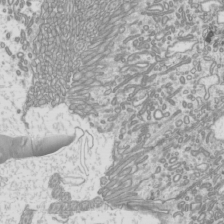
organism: Mouse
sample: Cilia; mouse epididymis